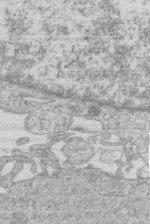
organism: Human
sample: Macrophage cells